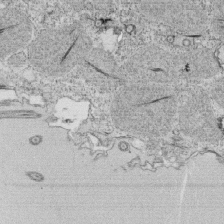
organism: Tetrahymena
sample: Cilia in tetrahymena